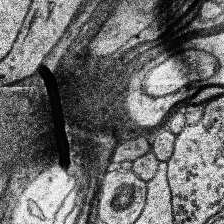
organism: Human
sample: Temporal Lobe